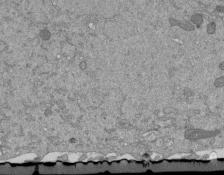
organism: Mouse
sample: ED-1 cell nuclei; centrioles